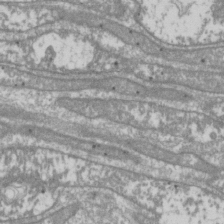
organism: Drosophila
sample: Cell division; meiosis; drosophila spermatocytes